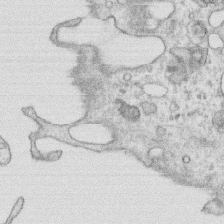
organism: Human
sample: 1205lu cells